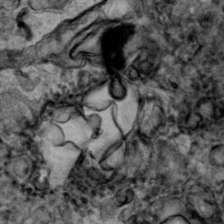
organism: Human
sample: Mitochondria in HCT116 cells